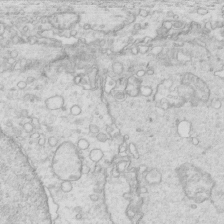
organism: Mouse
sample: Multiciliated cells